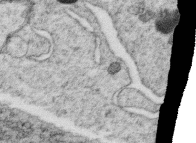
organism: C. elegans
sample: C. elegans oocyte; sperm cells